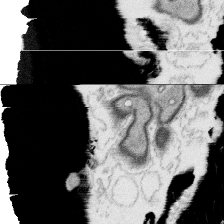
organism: Platynereis dumerilii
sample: Parapodia